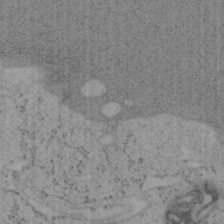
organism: Mouse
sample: OT-I killer T cells with ID8 ovarian cancer cells